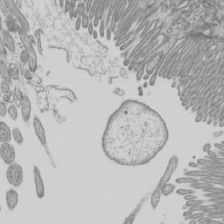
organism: Mouse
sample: Cilia; mouse epididymis